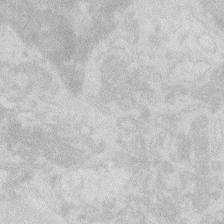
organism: Zebrafish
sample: Macrophage